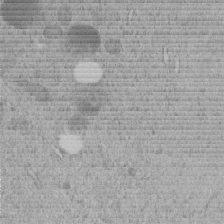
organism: C. elegans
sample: C. elegans embryo early stage